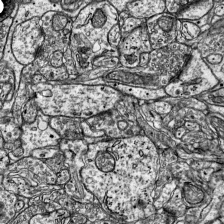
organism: Mouse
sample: Visual Cortex